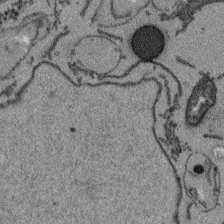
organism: Arabidopsis thaliana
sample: Root tip